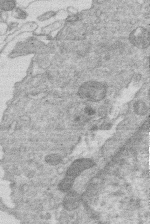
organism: Human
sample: Macrophage cells